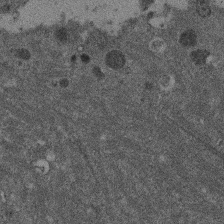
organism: Mouse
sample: Dividing mouse embryo 1 cell stage